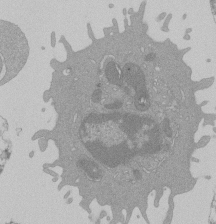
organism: Mouse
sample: Activated Pmel transgenic CD8+ T Cells